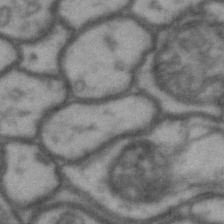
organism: Drosophila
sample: Brain